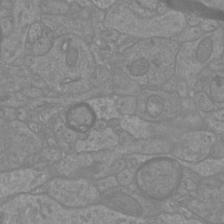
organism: Mouse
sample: Cortical neurons